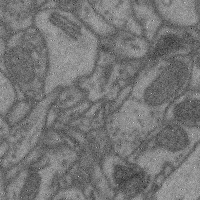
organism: Mouse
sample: Cerebral cortex